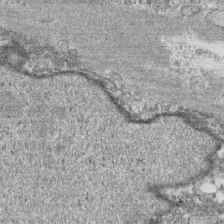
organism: Human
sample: CRL-1474